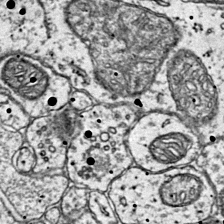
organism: Mouse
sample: Primary visual cortex